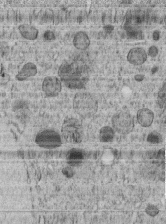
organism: C. elegans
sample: C. elegans embryo early stage